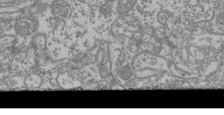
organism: Mouse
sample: Glomerulus